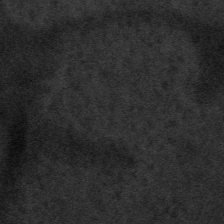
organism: Tuwongella immobilis